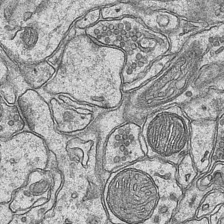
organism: Mouse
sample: CA1 Hippocampus